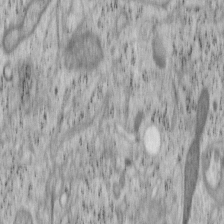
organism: Human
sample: HeLa cells